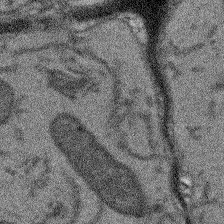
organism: Arabidopsis thaliana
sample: Root tip